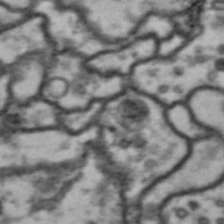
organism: Drosophila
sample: Brain